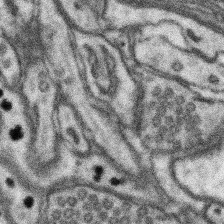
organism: Mouse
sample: Somatosensory cortex neuropil